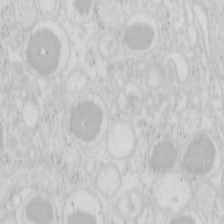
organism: Mouse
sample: Pancreas